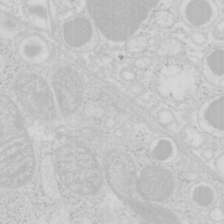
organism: Mouse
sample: Pancreas